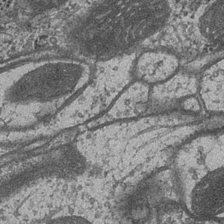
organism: Drosophila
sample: Optic medulla